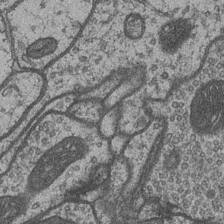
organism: Drosophila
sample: Optic medulla